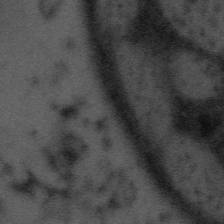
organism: Tuwongella immobilis